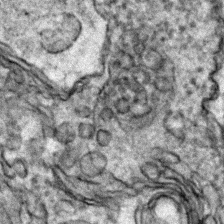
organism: Zebrafish